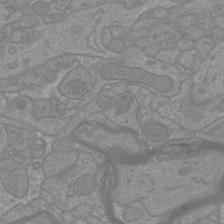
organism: Mouse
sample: Cortical neurons